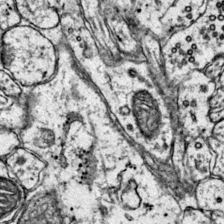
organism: Mouse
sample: Primary visual cortex